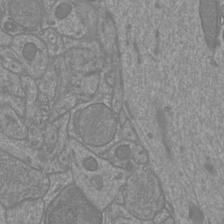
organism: Mouse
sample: Cortical neurons